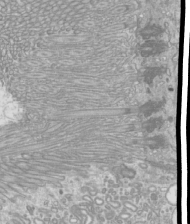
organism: Mouse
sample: Cilia; mouse epididymis